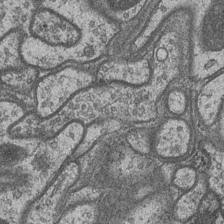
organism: Drosophila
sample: Optic medulla